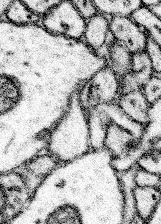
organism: Mouse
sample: Somatosensory cortex neuropil